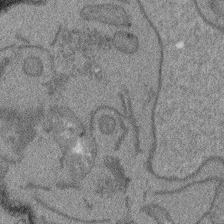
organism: Arabidopsis thaliana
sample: Root tip